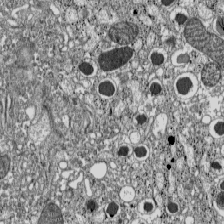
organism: C57BL Mouse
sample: Pancreatic islet